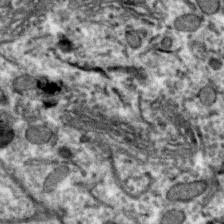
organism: Zebra finch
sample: Brain